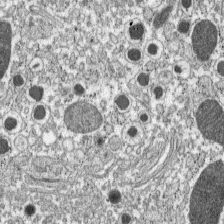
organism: C57BL Mouse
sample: Pancreatic islet